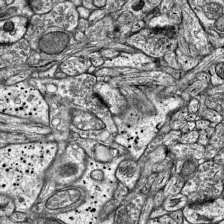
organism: Mouse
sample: Visual Cortex